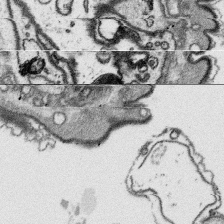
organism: Platynereis dumerilii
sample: Parapodia